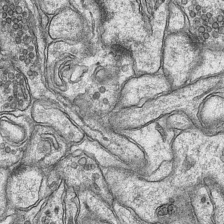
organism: Mouse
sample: CA1 Hippocampus